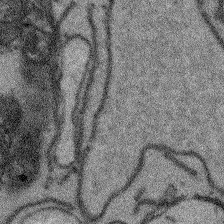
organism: Arabidopsis thaliana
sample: Root tip